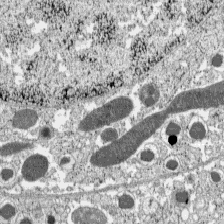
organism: C57BL Mouse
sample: Pancreatic islet